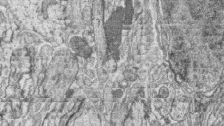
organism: Zebrafish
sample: synaptic ribbons in rod cells and cone cells